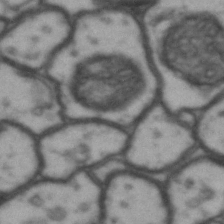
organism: Drosophila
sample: Brain